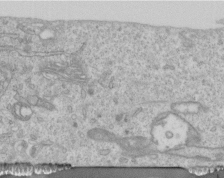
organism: Human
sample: Centriole in RPE cells